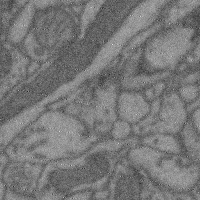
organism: Mouse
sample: Cerebral cortex